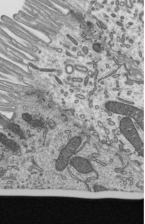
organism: Mouse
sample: Mouse epididymis efferent ductule cilia